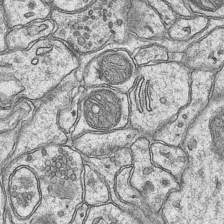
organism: Mouse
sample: CA1 Hippocampus